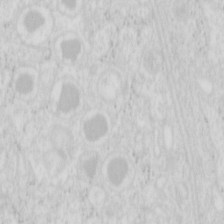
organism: Mouse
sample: Pancreas